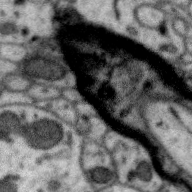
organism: Zebra finch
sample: Brain